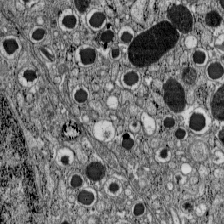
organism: C57BL Mouse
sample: Pancreatic islet